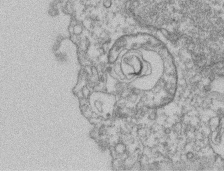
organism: Mouse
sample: T cell stromal cell synapse